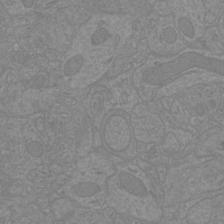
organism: Mouse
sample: Cortical neurons